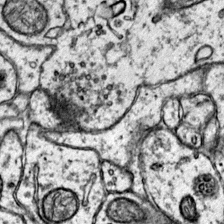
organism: Mouse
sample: Primary visual cortex